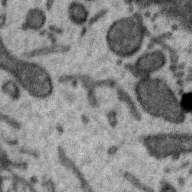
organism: Zebra finch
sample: Brain